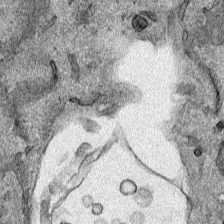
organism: Human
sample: Mitochondria in HCT116 cells